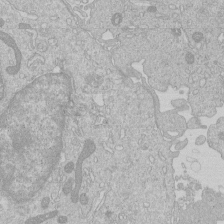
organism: Human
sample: Macrophage cells